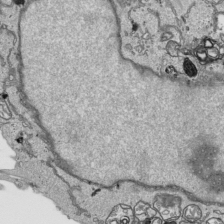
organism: Human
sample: Mitochondria in HCT116 cells